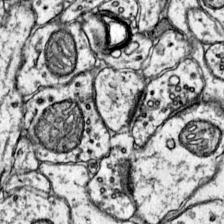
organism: Mouse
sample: Primary visual cortex